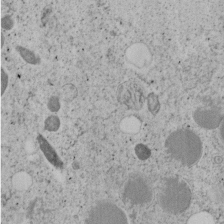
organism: C. elegans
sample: C. elegans embryo early stage